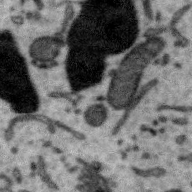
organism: Zebra finch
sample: Brain